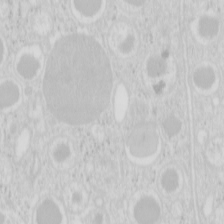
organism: Mouse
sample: Pancreas